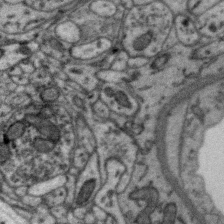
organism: Zebra finch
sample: Brain